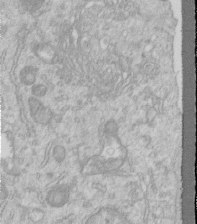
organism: Human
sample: Centriole in RPE cells